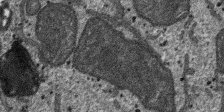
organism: Human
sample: Lung epithelial cells infected with SARS-CoV-2